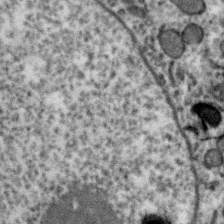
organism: Zebra finch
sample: Brain